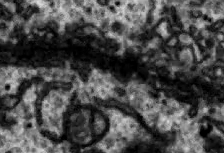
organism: Human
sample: HeLa cells